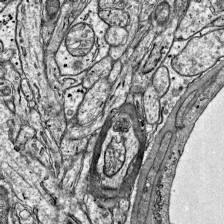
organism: Mouse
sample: Visual Cortex